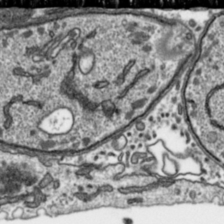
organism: Toxoplasma gondii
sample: Parasites in a vacuole inside a host cell